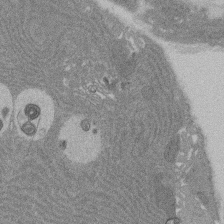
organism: Rat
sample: Salivary granule